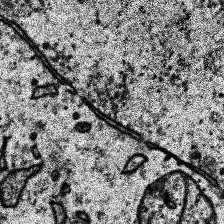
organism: Human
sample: Temporal Lobe